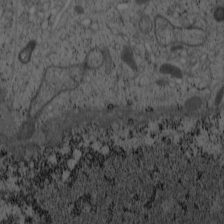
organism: African green monkey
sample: COS-7 cells